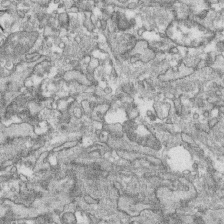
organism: Human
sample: CRL-1474